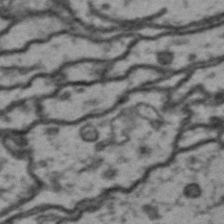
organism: Drosophila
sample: Brain